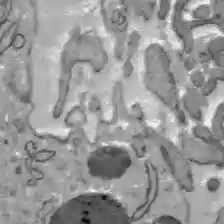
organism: C57BL Mouse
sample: Liver